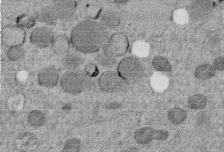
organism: C. elegans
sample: C. elegans embryo early stage